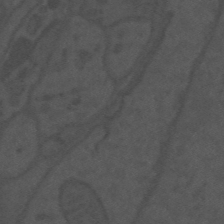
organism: Mouse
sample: Suprachiasmatic nucleus